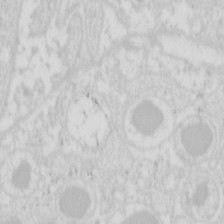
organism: Mouse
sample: Pancreas